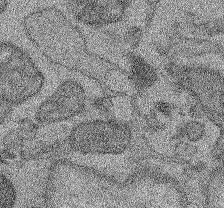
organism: Human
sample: HeLa cells